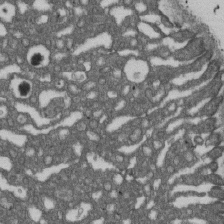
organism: Drosophila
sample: Nephrocyte